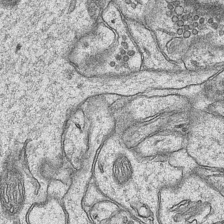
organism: Mouse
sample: CA1 Hippocampus